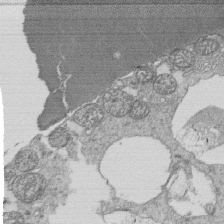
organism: Tetrahymena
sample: Cilia in tetrahymena